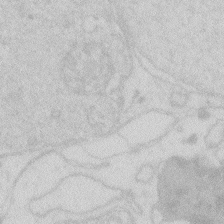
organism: Zebrafish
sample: Macrophage